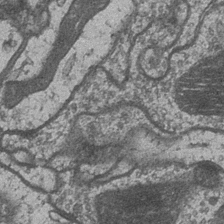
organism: Drosophila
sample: Optic medulla